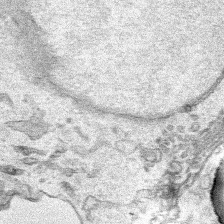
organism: Human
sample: Mitochondria in HCT116 cells